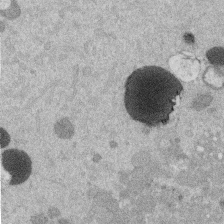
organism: Mouse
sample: Dividing mouse embryo 1 cell stage